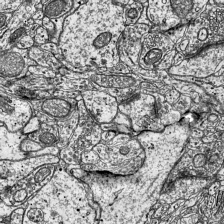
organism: Mouse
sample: Visual Cortex